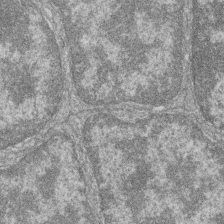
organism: Zebrafish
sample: Cilia; retinal pigment epithelium